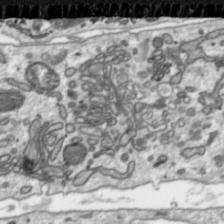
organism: Toxoplasma gondii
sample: Parasites in a vacuole inside a host cell